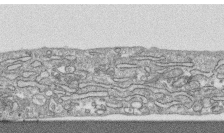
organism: Human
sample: CRL-1474